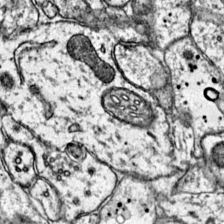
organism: Mouse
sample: Primary visual cortex